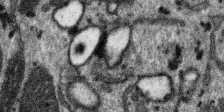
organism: Human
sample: Lung epithelial cells infected with SARS-CoV-2